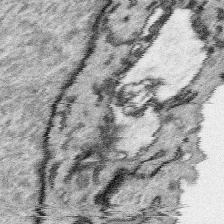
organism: Human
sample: HeLa cells